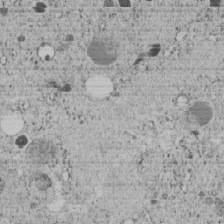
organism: C. elegans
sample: C. elegans embryo early stage